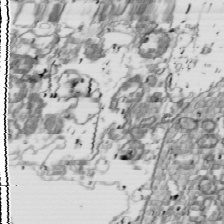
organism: Drosophila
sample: Cell division; meiosis; drosophila spermatocytes